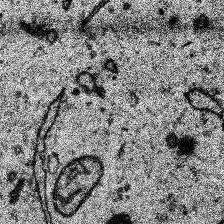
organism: Human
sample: Temporal Lobe